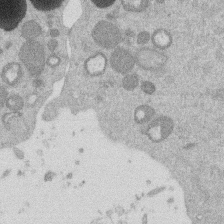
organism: Mouse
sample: Dividing mouse embryo 1 cell stage